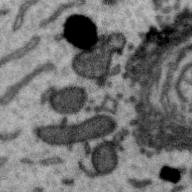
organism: Zebra finch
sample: Brain